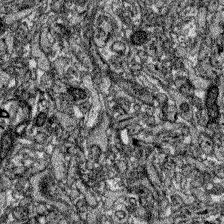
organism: Zebrafish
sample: Larval olfactory bulb